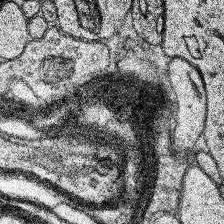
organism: Human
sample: Temporal Lobe